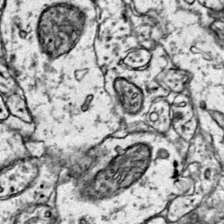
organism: Mouse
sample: Primary visual cortex